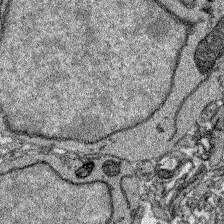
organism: Zebrafish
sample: Larval olfactory bulb